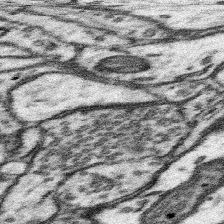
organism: Mouse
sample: Somatosensory cortex neuropil